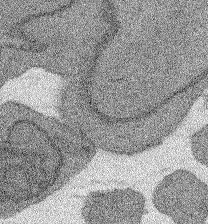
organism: Human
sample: HeLa cells